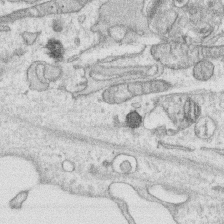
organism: Human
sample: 1205lu cells